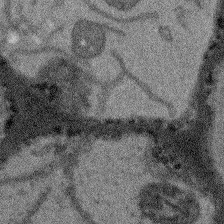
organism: Arabidopsis thaliana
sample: Root tip